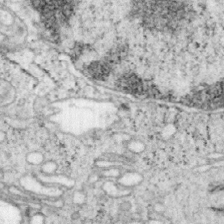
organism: Mouse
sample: OT-I killer T cells with ID8 ovarian cancer cells